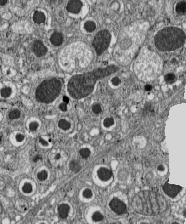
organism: C57BL Mouse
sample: Pancreatic islet